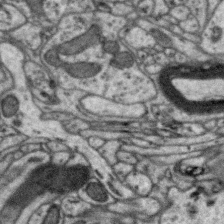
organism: Zebra finch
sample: Brain